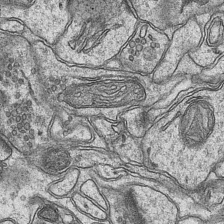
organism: Mouse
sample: CA1 Hippocampus